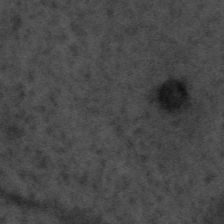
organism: Tuwongella immobilis